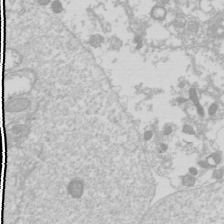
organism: Drosophila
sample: Cell division; meiosis; drosophila spermatocytes